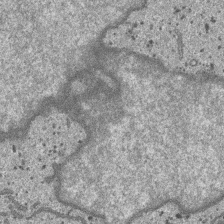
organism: Human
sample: Lung epithelial cells infected with SARS-CoV-2